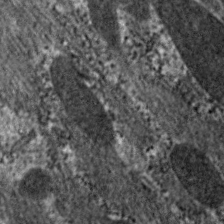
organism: C. elegans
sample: Pharynx